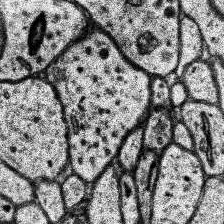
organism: Human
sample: Temporal Lobe